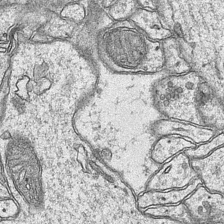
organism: Mouse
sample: CA1 Hippocampus